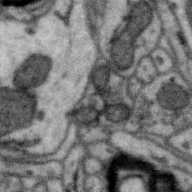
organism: Zebra finch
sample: Brain